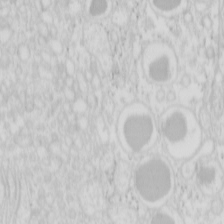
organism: Mouse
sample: Pancreas